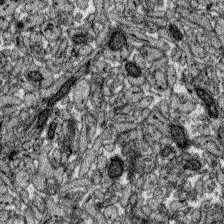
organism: Zebrafish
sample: Larval olfactory bulb